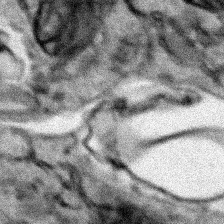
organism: Human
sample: Mitochondria in HCT116 cells